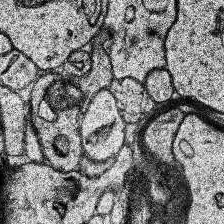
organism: Human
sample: Temporal Lobe